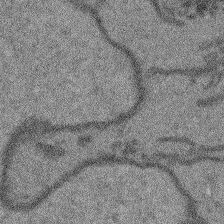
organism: Arabidopsis thaliana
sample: Root tip